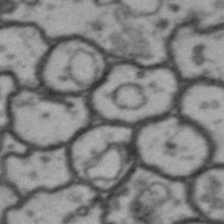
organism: Drosophila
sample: Brain